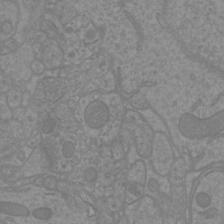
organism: Mouse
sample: Cortical neurons